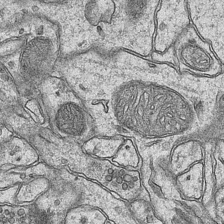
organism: Mouse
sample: CA1 Hippocampus